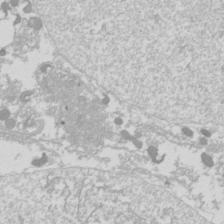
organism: Drosophila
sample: Cell division; meiosis; drosophila spermatocytes